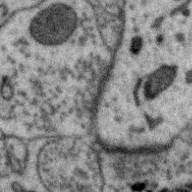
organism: Zebra finch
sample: Brain